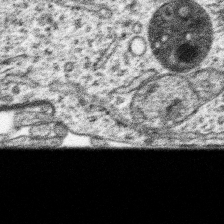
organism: Human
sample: HeLa cells